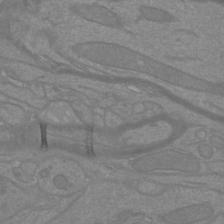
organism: Mouse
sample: Cortical neurons